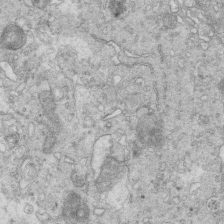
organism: Mouse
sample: Multiciliated cells